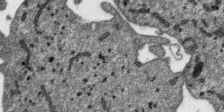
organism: Human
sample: Lung epithelial cells infected with SARS-CoV-2